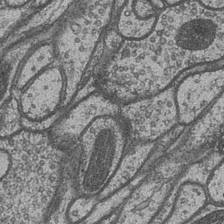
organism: Drosophila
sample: Optic medulla